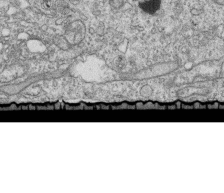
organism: Human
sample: HeLa cell HIV synapse